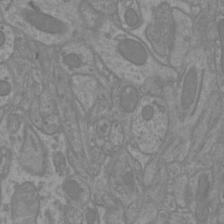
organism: Mouse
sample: Cortical neurons